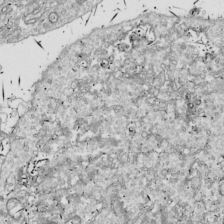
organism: Drosophila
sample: Cell division; meiosis; drosophila spermatocytes